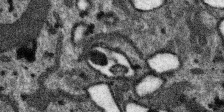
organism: Human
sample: Lung epithelial cells infected with SARS-CoV-2